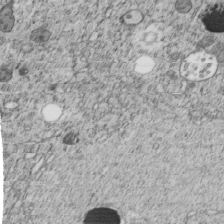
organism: C. elegans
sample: C. elegans embryo early stage